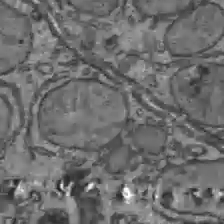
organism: C57BL Mouse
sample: Liver